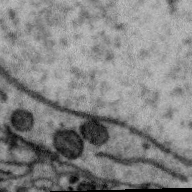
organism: Zebra finch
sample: Brain